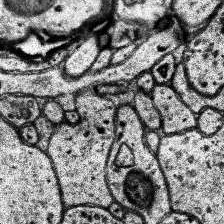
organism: Human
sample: Temporal Lobe